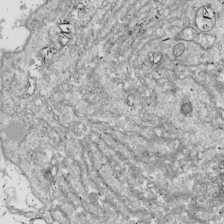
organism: Drosophila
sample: Cell division; meiosis; drosophila spermatocytes